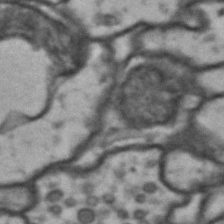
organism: Drosophila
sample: Brain